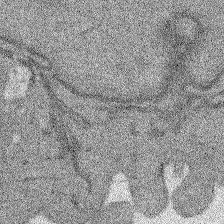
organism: Human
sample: HeLa cells